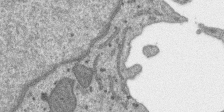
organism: Human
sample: Lung epithelial cells infected with SARS-CoV-2